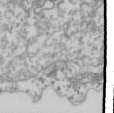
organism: Drosophila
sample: Cell division; meiosis; drosophila spermatocytes